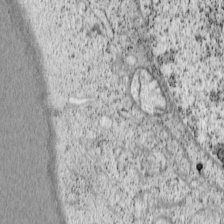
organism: African green monkey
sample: COS-7 cells